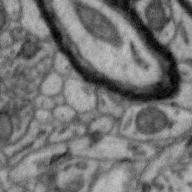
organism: Zebra finch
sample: Brain